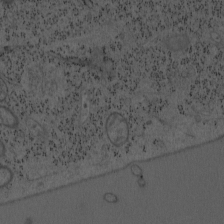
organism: Mouse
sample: OT-I killer T cells with ID8 ovarian cancer cells